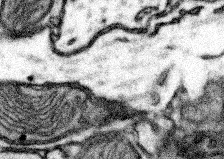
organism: Mouse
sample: Somatosensory cortex neuropil